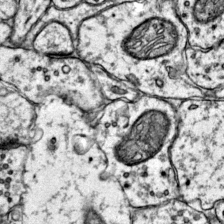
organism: Mouse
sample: Primary visual cortex